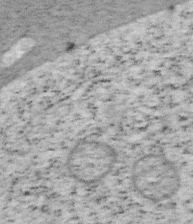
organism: Mouse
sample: OT-I killer T cells with ID8 ovarian cancer cells